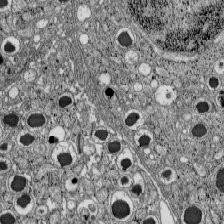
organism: C57BL Mouse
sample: Pancreatic islet